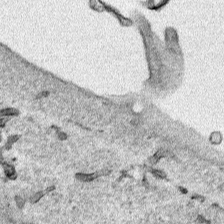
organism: Human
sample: Mitochondria in HCT116 cells